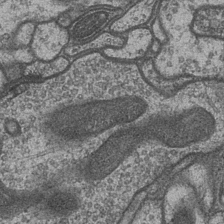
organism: Drosophila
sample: Optic medulla